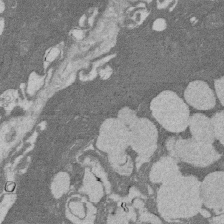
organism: Rat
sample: Salivary granule